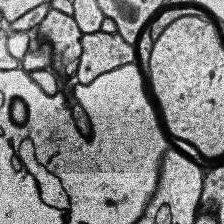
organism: Human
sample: Temporal Lobe